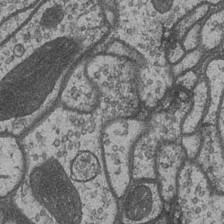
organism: Drosophila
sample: Optic medulla